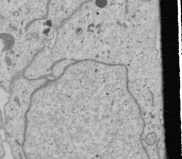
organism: Human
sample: Mitochondria in U2OS cells